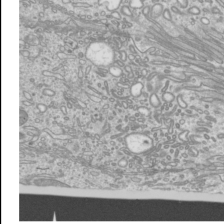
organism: Mouse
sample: Cilia; mouse epididymis